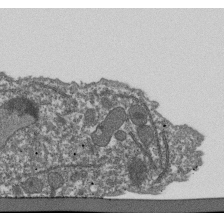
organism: Dictyostelium discoideum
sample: Dictyostelium multivesicular bodies